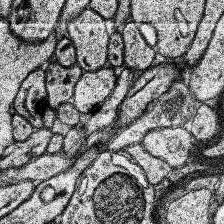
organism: Human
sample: Temporal Lobe